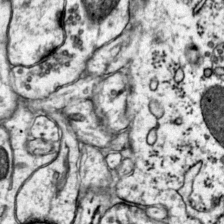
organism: Mouse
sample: Primary visual cortex